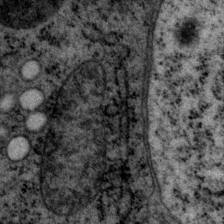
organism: P. pacificus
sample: Pharynx